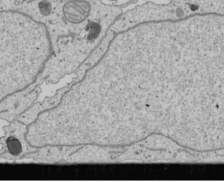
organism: Human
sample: Mitochondria in U2OS cells